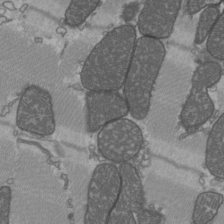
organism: C57BL Mouse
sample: Heart